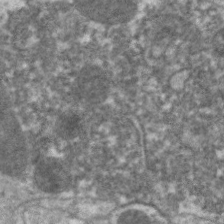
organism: C. elegans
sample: Pharynx